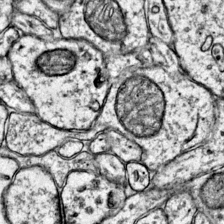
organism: Mouse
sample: Primary visual cortex